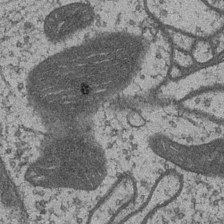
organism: Drosophila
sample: Optic medulla